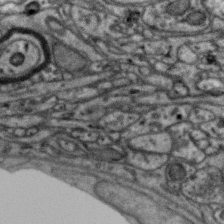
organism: Zebra finch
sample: Brain